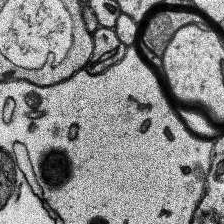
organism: Human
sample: Temporal Lobe